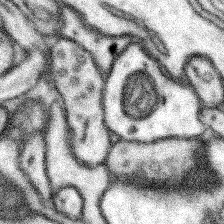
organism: Mouse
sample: Somatosensory cortex neuropil